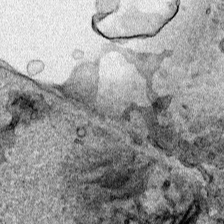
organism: Human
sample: Mitochondria in HCT116 cells